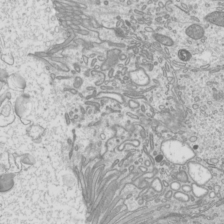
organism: Mouse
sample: Cilia; mouse epididymis